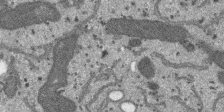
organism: Human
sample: Lung epithelial cells infected with SARS-CoV-2